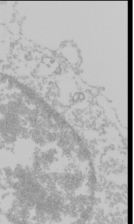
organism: Mouse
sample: Cancer cell death in ED-1 cells